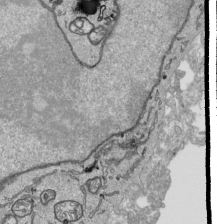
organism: Human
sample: Mitochondria in HCT116 cells